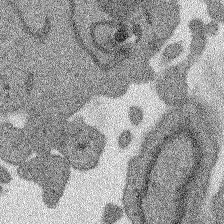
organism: Human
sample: HeLa cells